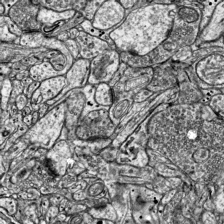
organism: Mouse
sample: Visual Cortex